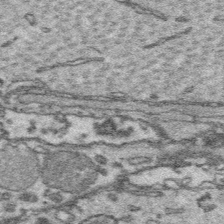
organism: Platynereis dumerilii